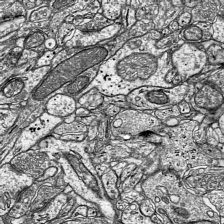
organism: Mouse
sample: Visual Cortex